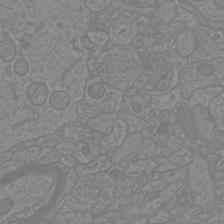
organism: Mouse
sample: Cortical neurons